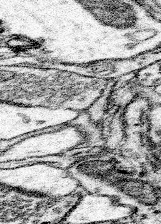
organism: Mouse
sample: Somatosensory cortex neuropil